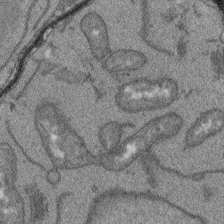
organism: Arabidopsis thaliana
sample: Root tip